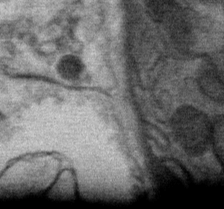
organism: Mouse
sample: Mouse Salivary gland